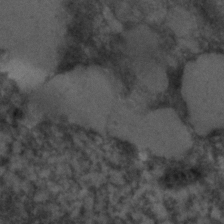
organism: C. elegans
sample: C. elegans embryo